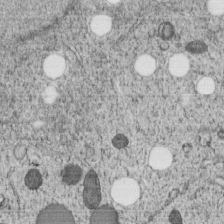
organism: C. elegans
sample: C. elegans embryo early stage